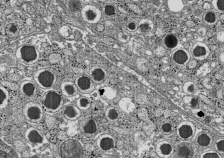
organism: C57BL Mouse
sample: Pancreatic islet